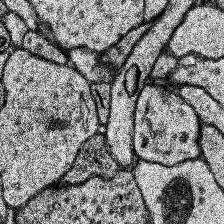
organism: Human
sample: Temporal Lobe